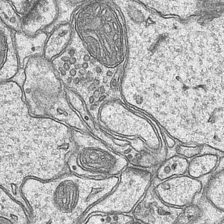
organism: Mouse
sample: CA1 Hippocampus